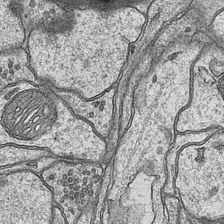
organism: Mouse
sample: CA1 Hippocampus